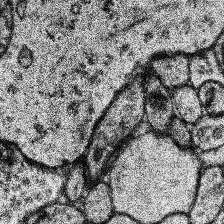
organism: Human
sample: Temporal Lobe